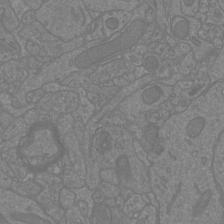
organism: Mouse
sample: Cortical neurons